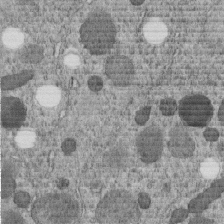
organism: C. elegans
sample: C. elegans embryo early stage